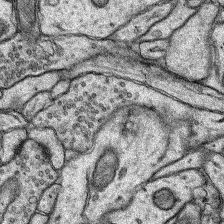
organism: Rat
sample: Hippocampus